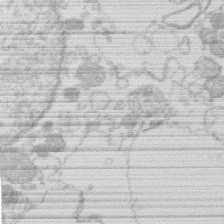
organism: Human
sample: Macrophage cells